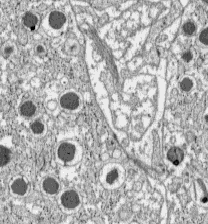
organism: C57BL Mouse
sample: Pancreatic islet